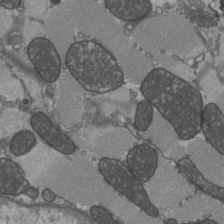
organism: C57BL Mouse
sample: Heart